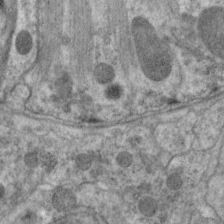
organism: C. elegans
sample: Pharynx